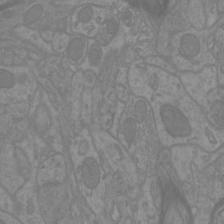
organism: Mouse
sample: Cortical neurons